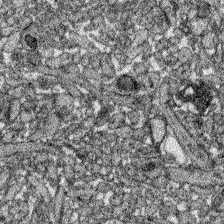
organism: Zebrafish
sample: Larval olfactory bulb